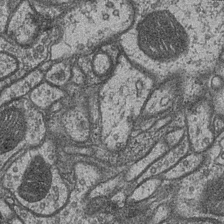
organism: Drosophila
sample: Optic medulla